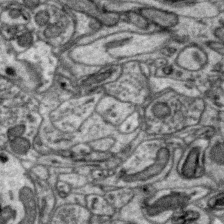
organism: Zebra finch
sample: Brain